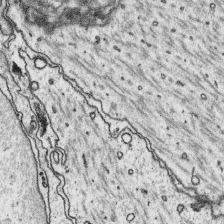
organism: Platynereis dumerilii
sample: Parapodia